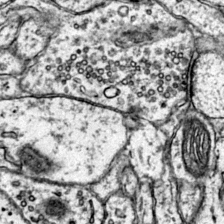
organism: Mouse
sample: Primary visual cortex